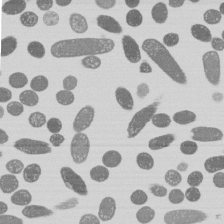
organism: E. coli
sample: Bacterial nucleoid